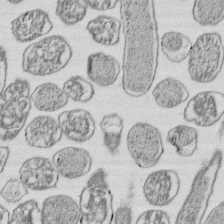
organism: E. coli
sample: Bacterial nucleoid